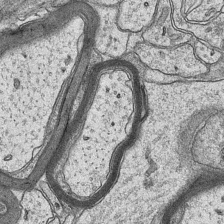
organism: Mouse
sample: CA1 Hippocampus